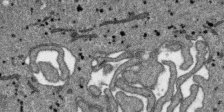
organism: Human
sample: Lung epithelial cells, uninfected (mock) control